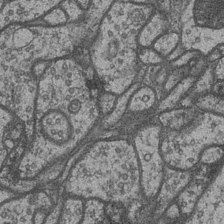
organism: Drosophila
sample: Optic medulla